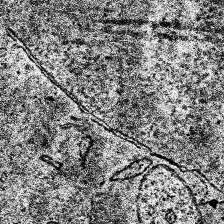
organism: Human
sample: Temporal Lobe